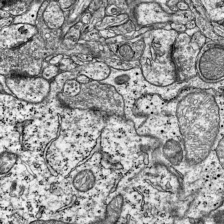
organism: Mouse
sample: Visual Cortex